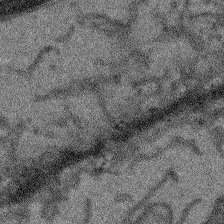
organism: Arabidopsis thaliana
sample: Root tip